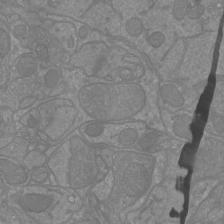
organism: Mouse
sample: Cortical neurons